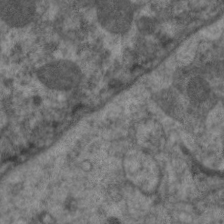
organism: C. elegans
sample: Pharynx